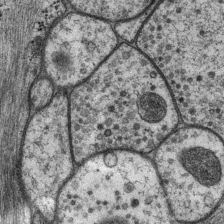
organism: P. pacificus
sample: Pharynx